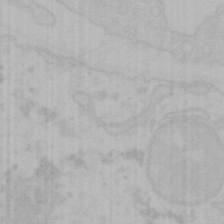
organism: Mouse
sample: Choroid plexus